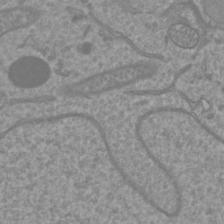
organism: Mouse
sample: Cortical neurons